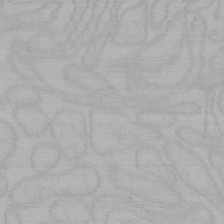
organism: Mouse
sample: Choroid plexus